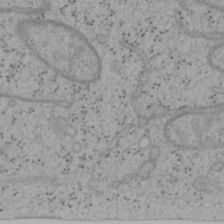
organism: Human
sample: HeLa cells